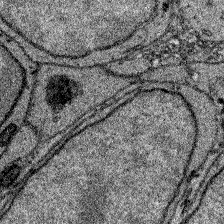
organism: Zebrafish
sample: Larval olfactory bulb